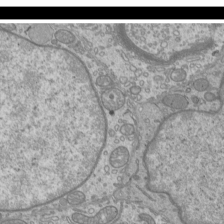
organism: Mouse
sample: Cilia; mouse epididymis